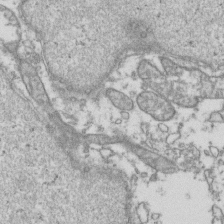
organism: Human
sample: Activated Jurkat CD4+ T cells